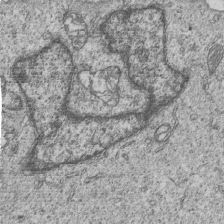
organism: Human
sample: MDA-MB-231 cells